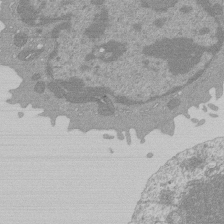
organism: Mouse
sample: Activated Pmel transgenic CD8+ T Cells